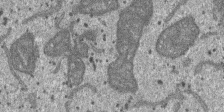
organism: Human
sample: Lung epithelial cells infected with SARS-CoV-2